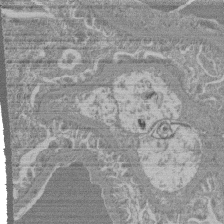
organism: Mouse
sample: Glomerulus